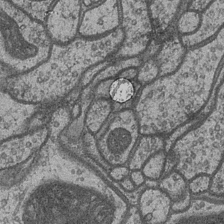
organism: Drosophila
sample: Optic medulla